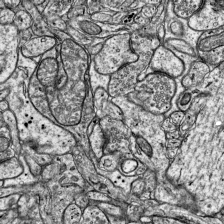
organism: Mouse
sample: Visual Cortex